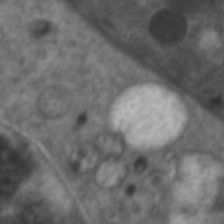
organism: C. elegans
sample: Pharynx